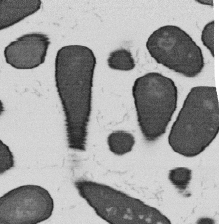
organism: B. subtilis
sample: Bacterial spore